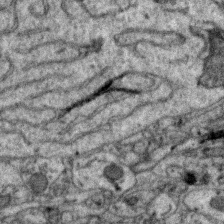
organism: Zebra finch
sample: Brain